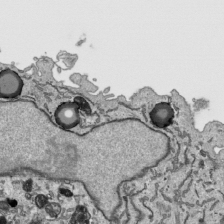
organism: Human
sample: Mitochondria in HCT116 cells